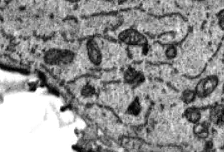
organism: Human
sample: HeLa cells